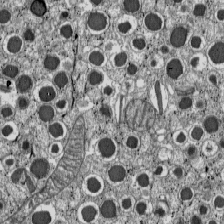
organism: C57BL Mouse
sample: Pancreatic islet